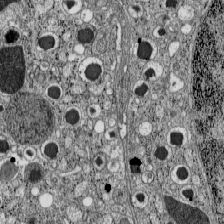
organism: C57BL Mouse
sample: Pancreatic islet